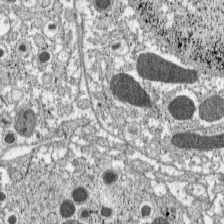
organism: C57BL Mouse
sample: Pancreatic islet